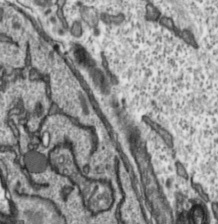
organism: Toxoplasma gondii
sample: Parasites in a vacuole inside a host cell